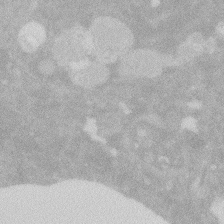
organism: Zebrafish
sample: Macrophage